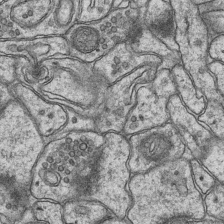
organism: Mouse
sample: CA1 Hippocampus